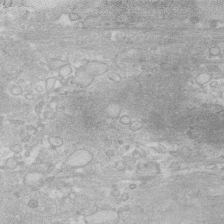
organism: Human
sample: Fibroblast cells